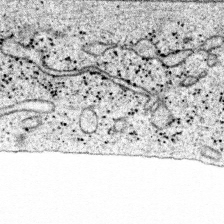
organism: Human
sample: HeLa cells